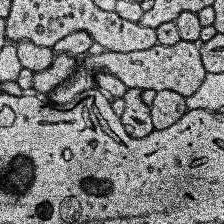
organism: Human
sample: Temporal Lobe